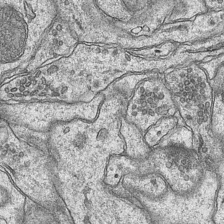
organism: Mouse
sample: CA1 Hippocampus